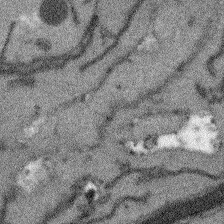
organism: Arabidopsis thaliana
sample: Root tip